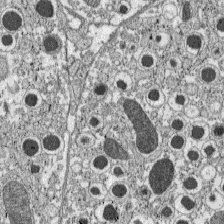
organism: C57BL Mouse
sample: Pancreatic islet